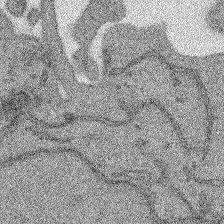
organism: Human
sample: HeLa cells